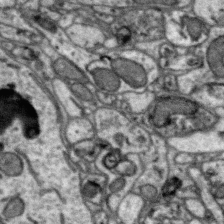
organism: Zebra finch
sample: Brain